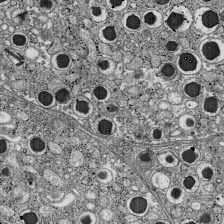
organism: C57BL Mouse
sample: Pancreatic islet